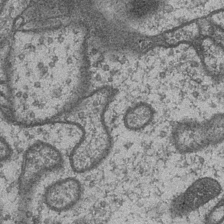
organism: Drosophila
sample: Optic medulla